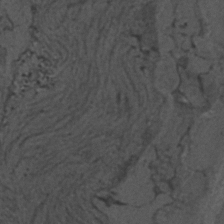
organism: C. elegans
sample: C. elegans embryo